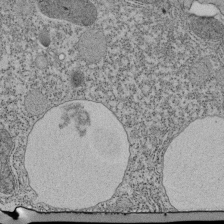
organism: Tetrahymena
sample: Cilia in tetrahymena